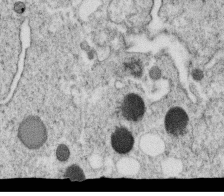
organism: C. elegans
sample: C. elegans oocyte; sperm cells